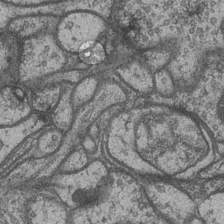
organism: Drosophila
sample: Optic medulla